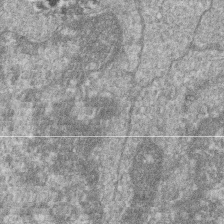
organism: Zebrafish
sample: Cilia; retinal pigment epithelium